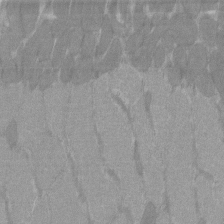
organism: C57BL Mouse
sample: Tibialis anterior muscle cell